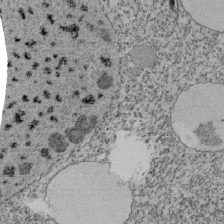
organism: Tetrahymena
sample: Cilia in tetrahymena